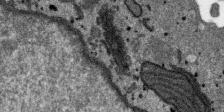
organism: Human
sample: Lung epithelial cells, uninfected (mock) control